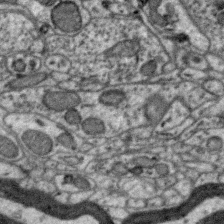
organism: Zebra finch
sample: Brain